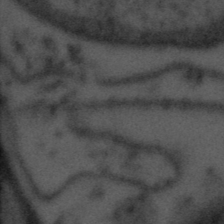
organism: Tuwongella immobilis